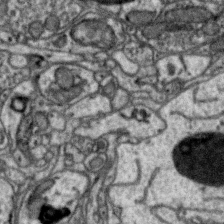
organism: Zebra finch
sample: Brain